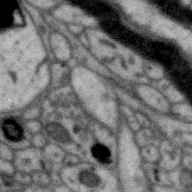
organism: Zebra finch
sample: Brain